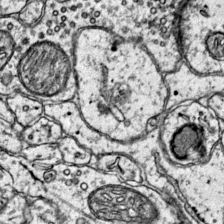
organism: Mouse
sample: Primary visual cortex